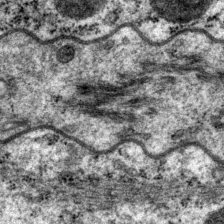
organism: P. pacificus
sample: Pharynx